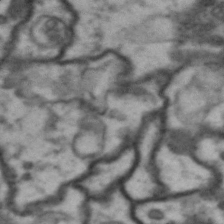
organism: Drosophila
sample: Brain